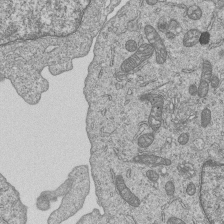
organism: Human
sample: MDA-MB-231 cells